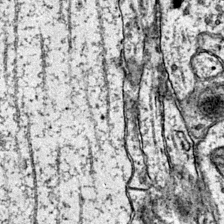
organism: Mouse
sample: Primary visual cortex